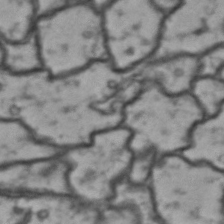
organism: Drosophila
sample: Brain